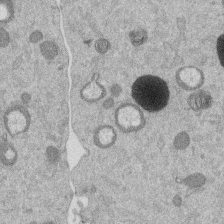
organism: Mouse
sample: Dividing mouse embryo 1 cell stage